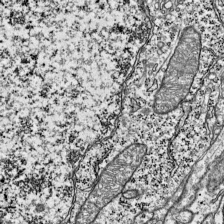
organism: Mouse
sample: Visual Cortex